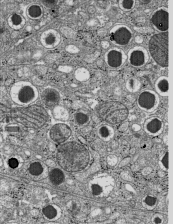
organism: C57BL Mouse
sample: Pancreatic islet